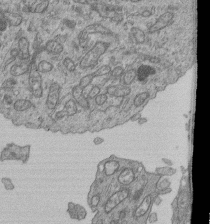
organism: Human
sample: Retinal organoid Rod and Cone cells